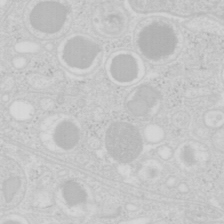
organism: Mouse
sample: Pancreas